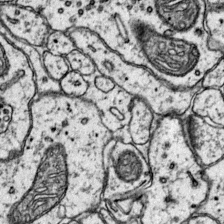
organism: Mouse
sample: Primary visual cortex